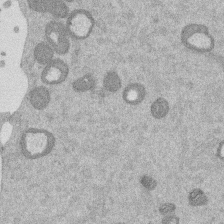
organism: Mouse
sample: Dividing mouse embryo 1 cell stage